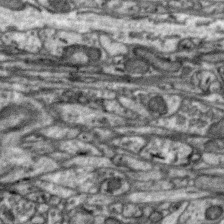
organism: Zebra finch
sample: Brain